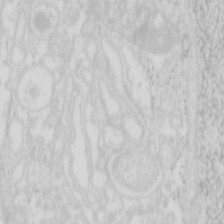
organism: Mouse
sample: Pancreas